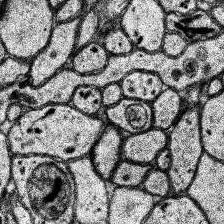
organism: Human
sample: Temporal Lobe